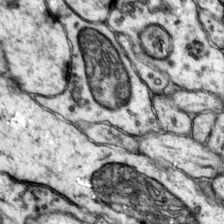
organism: Mouse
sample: Primary visual cortex